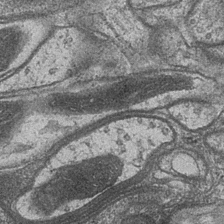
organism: Drosophila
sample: Optic medulla